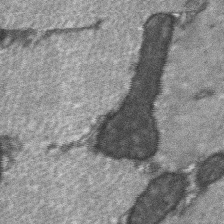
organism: C57BL Mouse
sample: Soleus